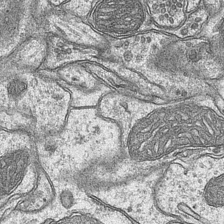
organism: Mouse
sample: CA1 Hippocampus